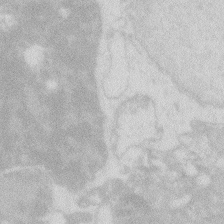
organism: Zebrafish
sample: Macrophage